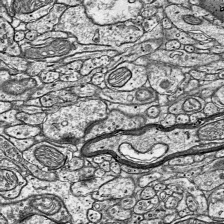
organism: Mouse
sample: Visual Cortex